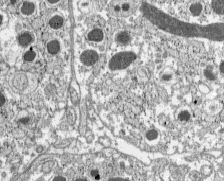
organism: C57BL Mouse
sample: Pancreatic islet